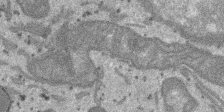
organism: Human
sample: Lung epithelial cells infected with SARS-CoV-2